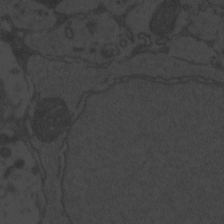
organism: Zebrafish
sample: Macrophage infected with Toxoplasma gondii